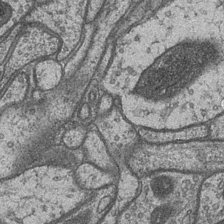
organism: Drosophila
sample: Optic medulla